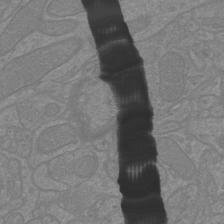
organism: Mouse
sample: Cortical neurons